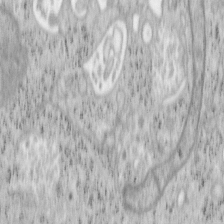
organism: Human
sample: HeLa cells